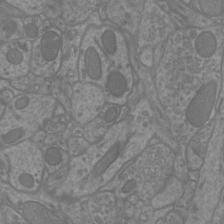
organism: Mouse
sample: Cortical neurons